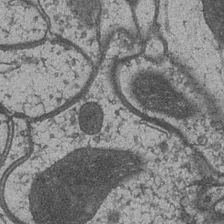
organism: Drosophila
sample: Optic medulla